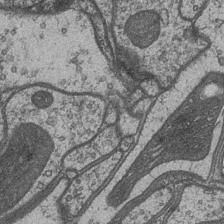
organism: Drosophila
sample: Optic medulla